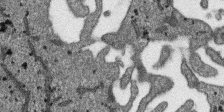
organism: Human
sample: Lung epithelial cells infected with SARS-CoV-2